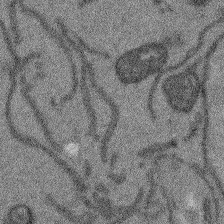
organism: Arabidopsis thaliana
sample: Root tip